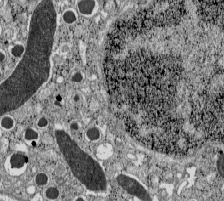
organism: C57BL Mouse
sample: Pancreatic islet